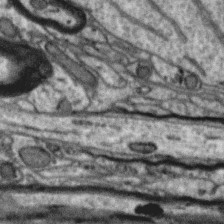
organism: Zebra finch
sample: Brain